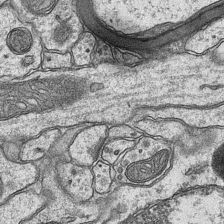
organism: Mouse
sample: CA1 Hippocampus